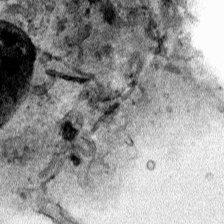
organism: Human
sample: Mitochondria in HCT116 cells